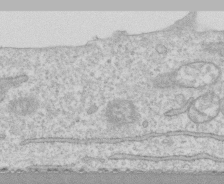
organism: Human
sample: CRL-1474